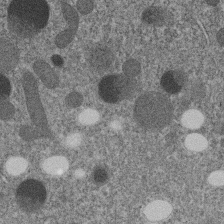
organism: C. elegans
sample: C. elegans embryo early stage